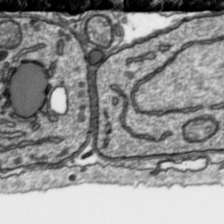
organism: Toxoplasma gondii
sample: Parasites in a vacuole inside a host cell